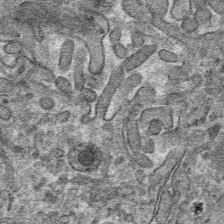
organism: Mouse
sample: Mouse hepatocytes